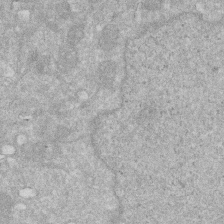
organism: Human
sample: HIV infected U937 cells